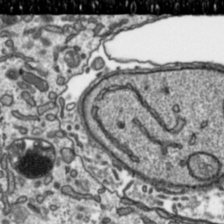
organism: Toxoplasma gondii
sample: Parasites in a vacuole inside a host cell